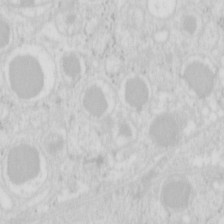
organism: Mouse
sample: Pancreas